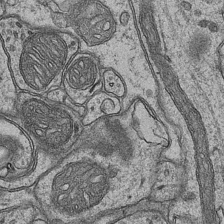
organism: Mouse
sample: CA1 Hippocampus